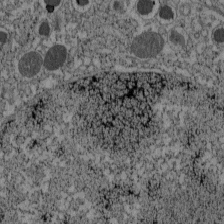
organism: C57BL Mouse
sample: Pancreatic islet